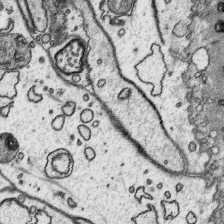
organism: Platynereis dumerilii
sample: Parapodia